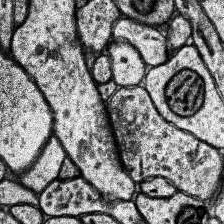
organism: Human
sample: Temporal Lobe